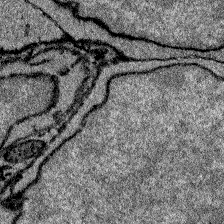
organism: Zebrafish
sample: Larval olfactory bulb